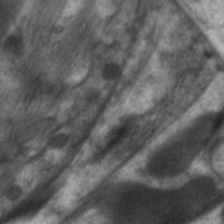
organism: C. elegans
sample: Pharynx